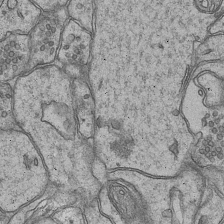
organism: Mouse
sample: CA1 Hippocampus